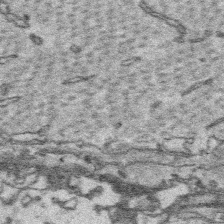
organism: Platynereis dumerilii